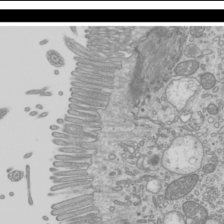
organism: Mouse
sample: Cilia; mouse epididymis